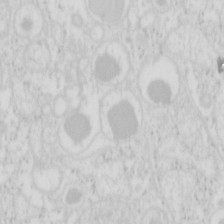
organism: Mouse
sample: Pancreas